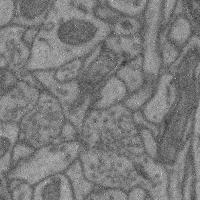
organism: Mouse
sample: Cerebral cortex